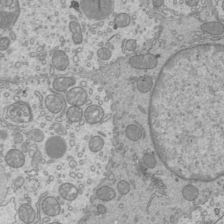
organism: Mouse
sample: Cilia; mouse epididymis